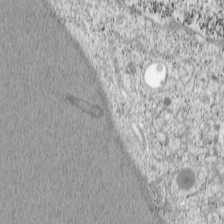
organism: African green monkey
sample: COS-7 cells